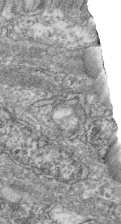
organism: Zebrafish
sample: Cilia; retinal pigment epithelium